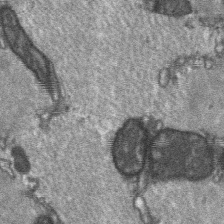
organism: C57BL Mouse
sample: Soleus